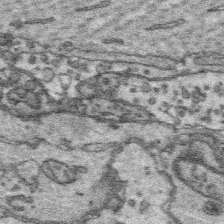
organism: Platynereis dumerilii